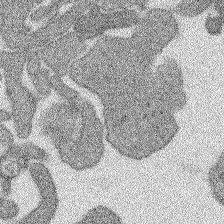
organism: Human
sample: HeLa cells